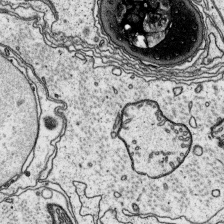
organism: Platynereis dumerilii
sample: Parapodia